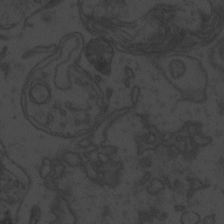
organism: Zebrafish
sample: Macrophage infected with Toxoplasma gondii